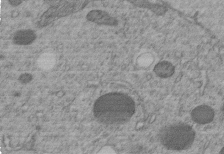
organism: C. elegans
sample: C. elegans embryo early stage